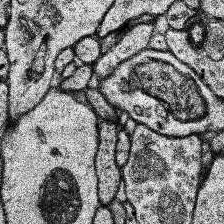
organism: Human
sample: Temporal Lobe